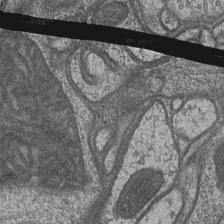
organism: Drosophila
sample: Optic medulla